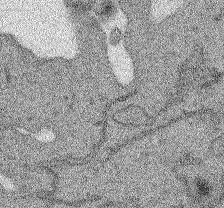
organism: Human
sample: HeLa cells